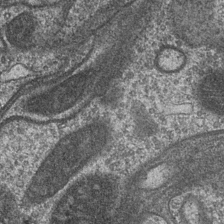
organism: Drosophila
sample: Optic medulla